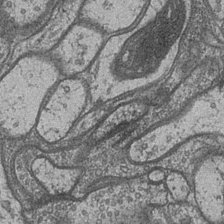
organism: Drosophila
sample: Optic medulla